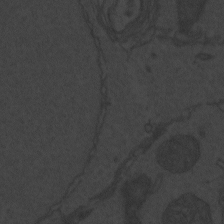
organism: Zebrafish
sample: Macrophage infected with Toxoplasma gondii